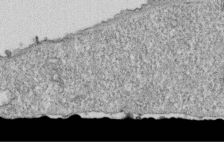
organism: Human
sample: HeLa cell HIV synapse